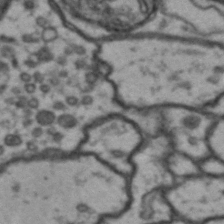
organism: Drosophila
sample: Brain